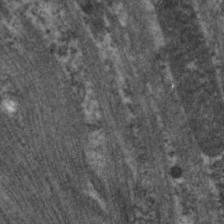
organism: C. elegans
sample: Pharynx